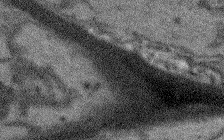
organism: Arabidopsis thaliana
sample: Root tip